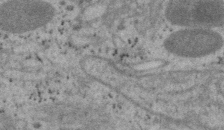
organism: Human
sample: HeLa cells